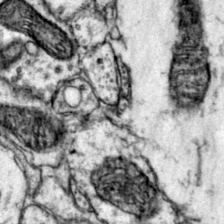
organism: Mouse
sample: Primary visual cortex